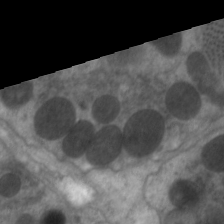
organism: C. elegans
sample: Pharynx